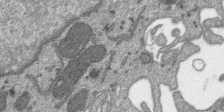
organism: Human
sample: Lung epithelial cells infected with SARS-CoV-2